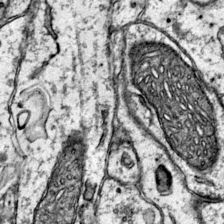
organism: Mouse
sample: Primary visual cortex